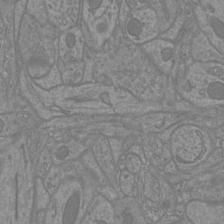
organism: Mouse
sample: Cortical neurons